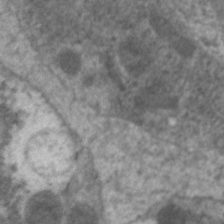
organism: C. elegans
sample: Pharynx